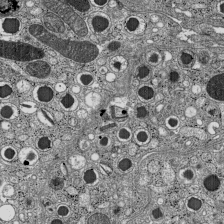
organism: C57BL Mouse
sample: Pancreatic islet